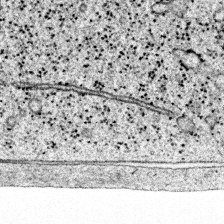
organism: Human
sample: HeLa cells